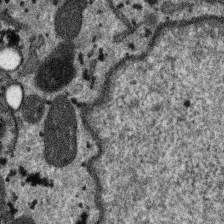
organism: Human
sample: Lung epithelial cells infected with SARS-CoV-2